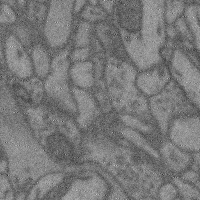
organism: Mouse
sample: Cerebral cortex